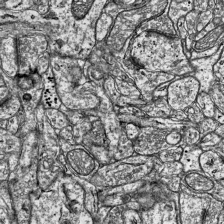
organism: Mouse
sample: Visual Cortex